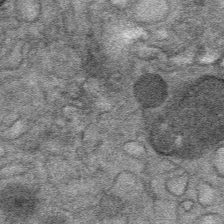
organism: Mouse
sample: Mouse Salivary gland